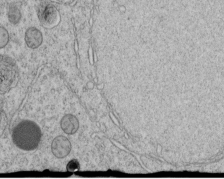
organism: C. elegans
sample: C. elegans embryo early stage